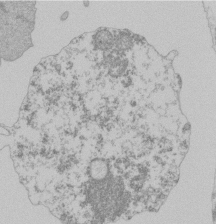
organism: Mouse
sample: Activated Pmel transgenic CD8+ T Cells